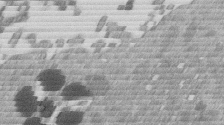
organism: Mouse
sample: Dividing mouse embryo 1 cell stage